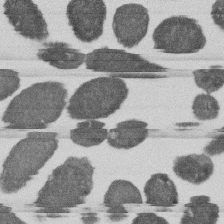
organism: E. coli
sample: Bacterial nucleoid